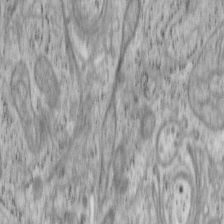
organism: Human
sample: HeLa cells